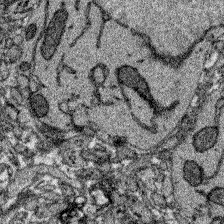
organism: Zebrafish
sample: Larval olfactory bulb